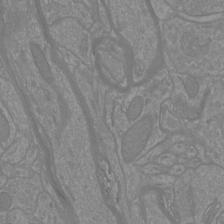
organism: Mouse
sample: Cortical neurons